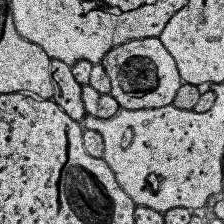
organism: Human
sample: Temporal Lobe